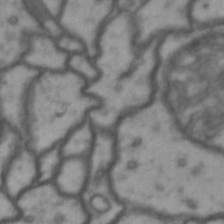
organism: Drosophila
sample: Brain